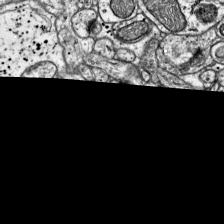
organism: Mouse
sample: Visual Cortex